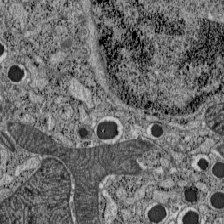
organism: C57BL Mouse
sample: Pancreatic islet